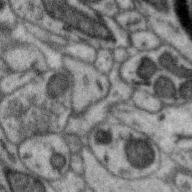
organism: Zebra finch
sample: Brain